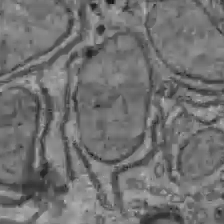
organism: C57BL Mouse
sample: Liver